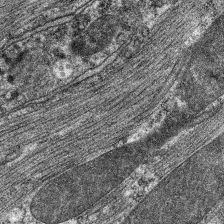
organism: C. elegans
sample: Pharynx